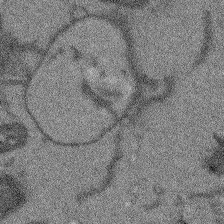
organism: Arabidopsis thaliana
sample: Root tip